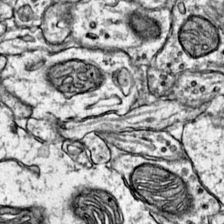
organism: Mouse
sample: Primary visual cortex